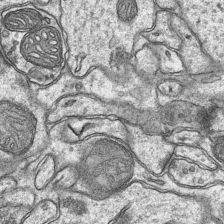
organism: Mouse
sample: CA1 Hippocampus